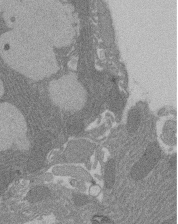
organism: Rat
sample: Salivary granule